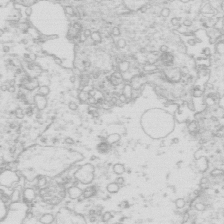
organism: Mouse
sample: Multiciliated cells